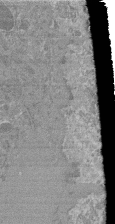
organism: Mouse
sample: Glomerulus